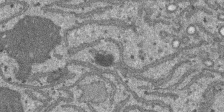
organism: Human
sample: Lung epithelial cells infected with SARS-CoV-2